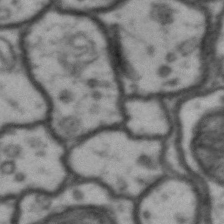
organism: Drosophila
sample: Brain